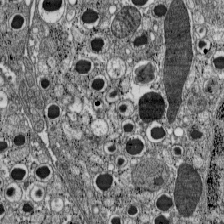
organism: C57BL Mouse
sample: Pancreatic islet